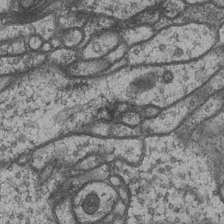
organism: Drosophila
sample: Optic medulla